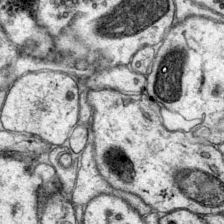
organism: Mouse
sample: Primary visual cortex